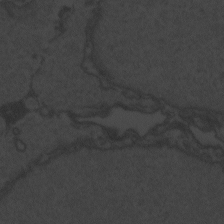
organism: Zebrafish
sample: Macrophage infected with Toxoplasma gondii